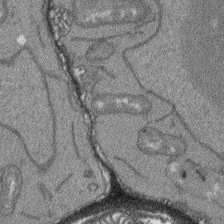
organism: Arabidopsis thaliana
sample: Root tip